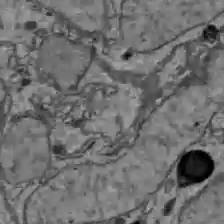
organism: C57BL Mouse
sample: Liver